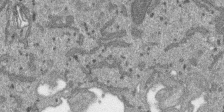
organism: Human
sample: Lung epithelial cells infected with SARS-CoV-2